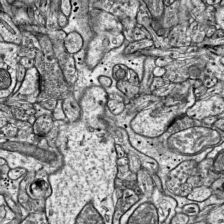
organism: Mouse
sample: Visual Cortex